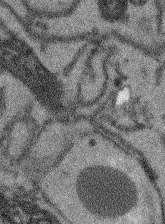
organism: Arabidopsis thaliana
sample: Root tip